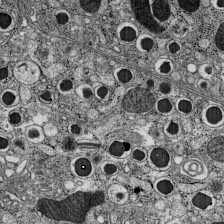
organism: C57BL Mouse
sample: Pancreatic islet